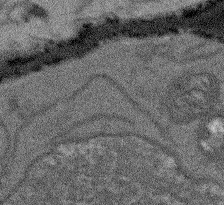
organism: Arabidopsis thaliana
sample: Root tip